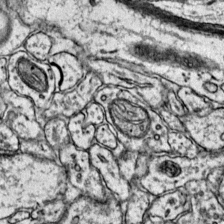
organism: Mouse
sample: Primary visual cortex